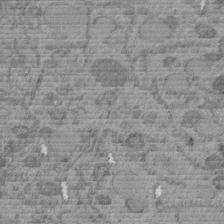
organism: C. elegans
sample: C. elegans embryo early stage